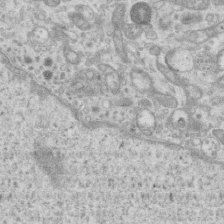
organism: Mouse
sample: Centriole in ependymal cells